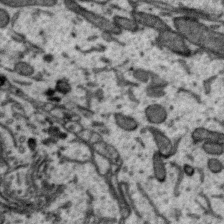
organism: Zebra finch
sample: Brain